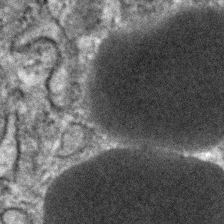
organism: Human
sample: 1205lu cells